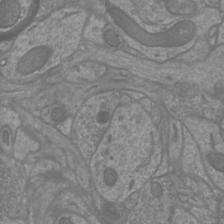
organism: Mouse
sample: Cortical neurons